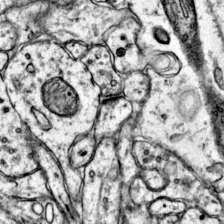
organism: Mouse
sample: Primary visual cortex